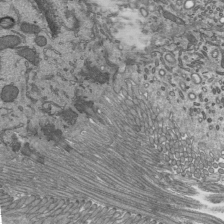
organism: Mouse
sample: Mouse epididymis efferent ductule cilia